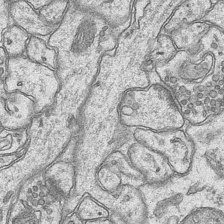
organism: Mouse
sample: CA1 Hippocampus